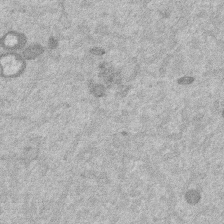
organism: Mouse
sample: Dividing mouse embryo 1 cell stage